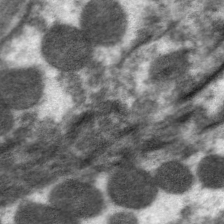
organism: C. elegans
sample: Pharynx